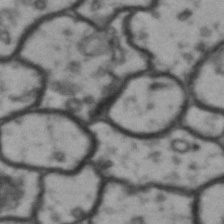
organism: Drosophila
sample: Brain